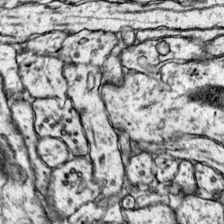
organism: Mouse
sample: Primary visual cortex